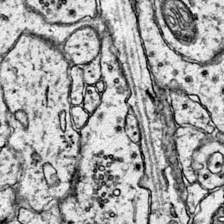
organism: Mouse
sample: Primary visual cortex